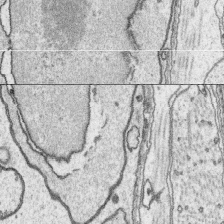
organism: Platynereis dumerilii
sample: Parapodia